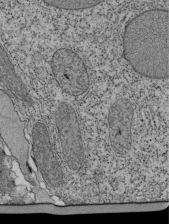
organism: Tetrahymena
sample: Cilia in tetrahymena